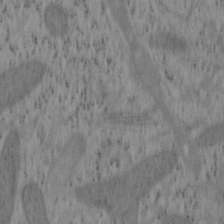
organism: Mouse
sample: OT-I killer T cells with ID8 ovarian cancer cells